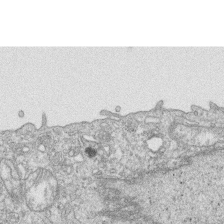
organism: Human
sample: HeLa cell HIV synapse